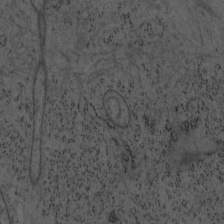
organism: Mouse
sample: OT-I killer T cells with ID8 ovarian cancer cells